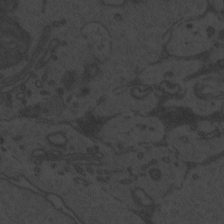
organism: Zebrafish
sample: Macrophage infected with Toxoplasma gondii